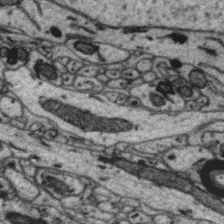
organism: Zebra finch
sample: Brain